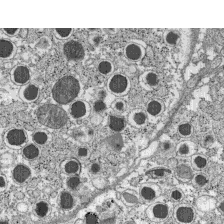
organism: C57BL Mouse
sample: Pancreatic islet